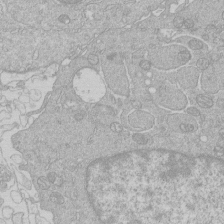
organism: Human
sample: Macrophage cells